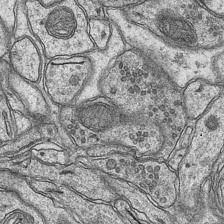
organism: Mouse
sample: CA1 Hippocampus